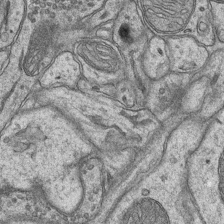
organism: Mouse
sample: CA1 Hippocampus